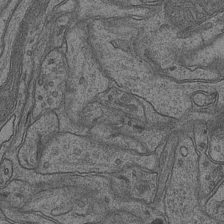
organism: Mouse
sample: CA1 Hippocampus